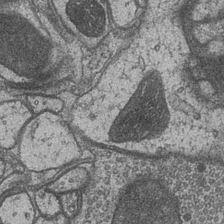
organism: Drosophila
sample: Optic medulla